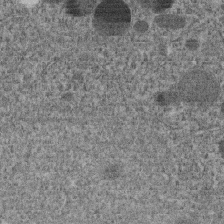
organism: C. elegans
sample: C. elegans embryo early stage